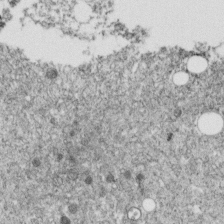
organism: C. elegans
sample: C. elegans embryo early stage